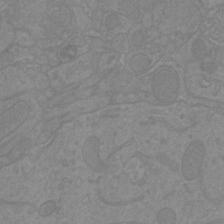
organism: Mouse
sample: Cortical neurons